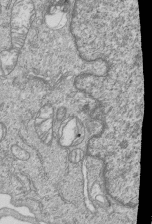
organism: Human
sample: MDA-MB-231 cells